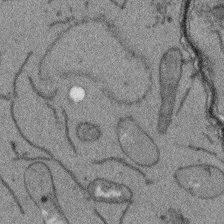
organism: Arabidopsis thaliana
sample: Root tip